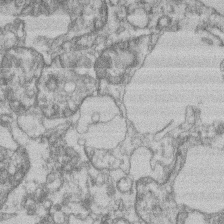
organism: Mouse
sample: T cell stromal cell synapse